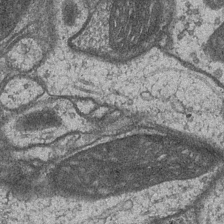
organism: Drosophila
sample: Optic medulla